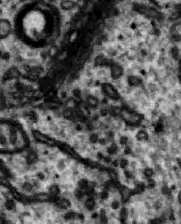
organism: Human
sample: HeLa cells